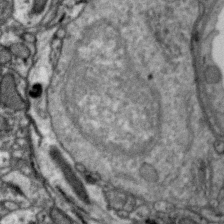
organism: Zebra finch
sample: Brain